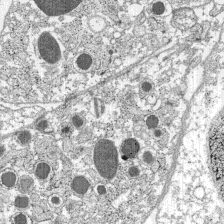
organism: C57BL Mouse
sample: Pancreatic islet